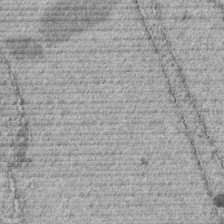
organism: C. elegans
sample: C. elegans embryo early stage